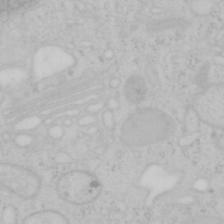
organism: Mouse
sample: OT-I killer T cells with ID8 ovarian cancer cells